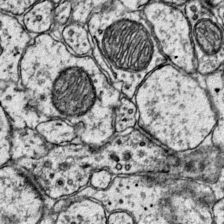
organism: Mouse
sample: Primary visual cortex